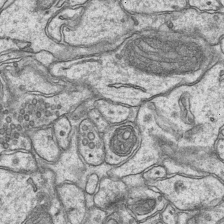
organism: Mouse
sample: CA1 Hippocampus